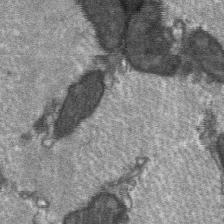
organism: C57BL Mouse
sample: Soleus